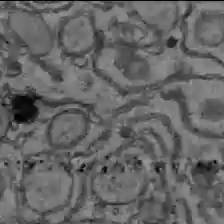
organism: C57BL Mouse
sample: Liver